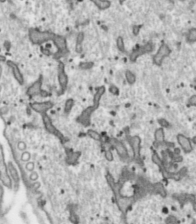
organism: Toxoplasma gondii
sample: Parasites in a vacuole inside a host cell